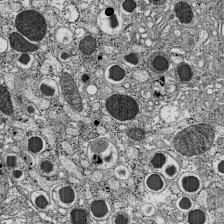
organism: C57BL Mouse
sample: Pancreatic islet